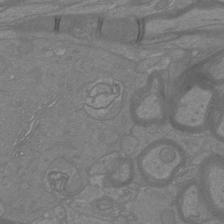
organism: Mouse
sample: Cortical neurons